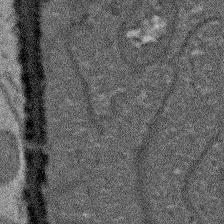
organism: Arabidopsis thaliana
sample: Root tip